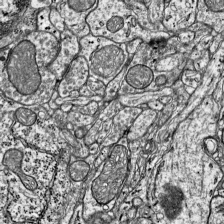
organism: Mouse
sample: Visual Cortex